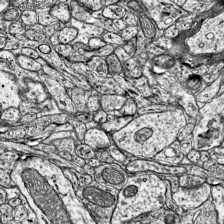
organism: Mouse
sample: Visual Cortex